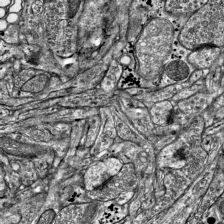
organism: Mouse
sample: Visual Cortex